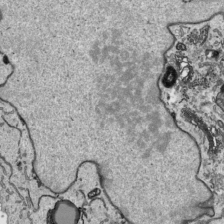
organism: Human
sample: Mitochondria in HCT116 cells